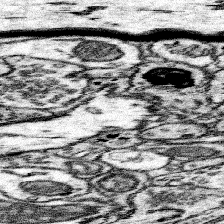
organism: Mouse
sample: Somatosensory cortex neuropil